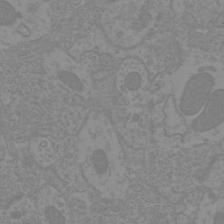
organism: Mouse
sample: Cortical neurons